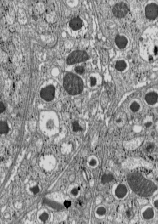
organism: C57BL Mouse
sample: Pancreatic islet